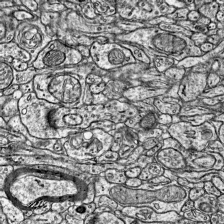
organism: Mouse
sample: Visual Cortex